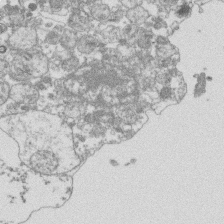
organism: Human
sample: HeLa cell HIV synapse